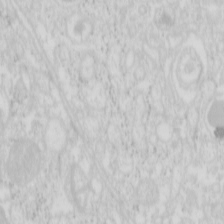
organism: Mouse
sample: Pancreas